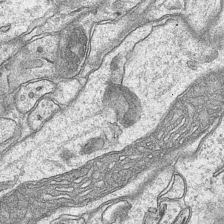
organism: Mouse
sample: CA1 Hippocampus